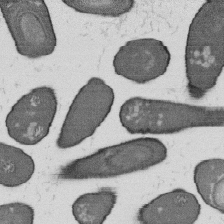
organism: B. subtilis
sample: Bacterial spore